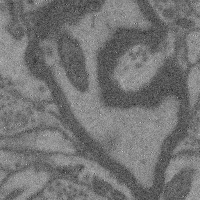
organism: Mouse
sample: Cerebral cortex